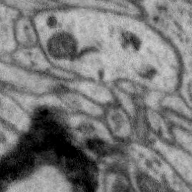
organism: Zebra finch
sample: Brain